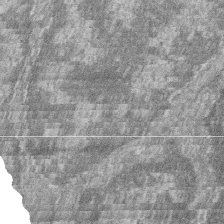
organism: Zebrafish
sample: Cilia; retinal pigment epithelium